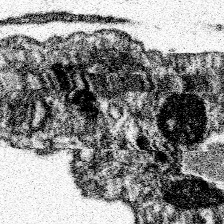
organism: Spongilla lacustris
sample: Neuroid cell